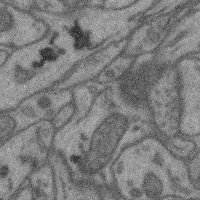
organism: Mouse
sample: Cerebral cortex